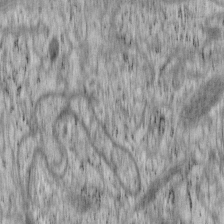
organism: Human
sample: HeLa cells